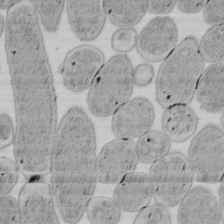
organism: E. coli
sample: Bacterial nucleoid